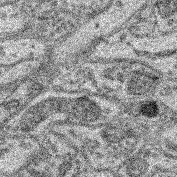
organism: Mouse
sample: Retina